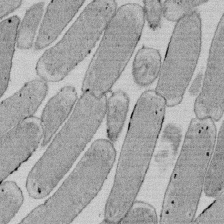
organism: E. coli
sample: Bacterial nucleoid